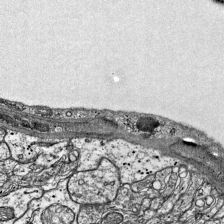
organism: Mouse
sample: Visual Cortex